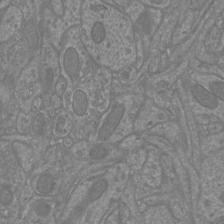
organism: Mouse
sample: Cortical neurons